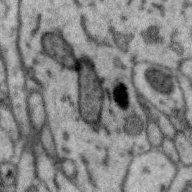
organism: Zebra finch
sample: Brain